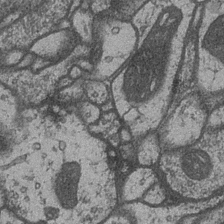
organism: Drosophila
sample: Optic medulla